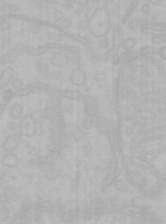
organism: Mouse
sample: Choroid plexus